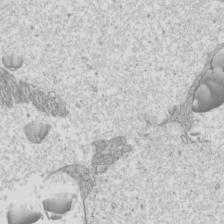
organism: Mouse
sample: Cilia; mouse epididymis